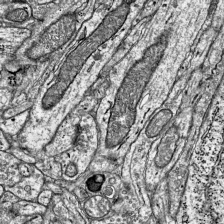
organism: Mouse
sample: Visual Cortex